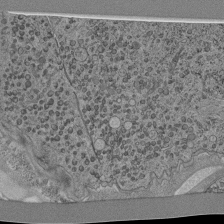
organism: C. elegans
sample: C. elegans pharynx